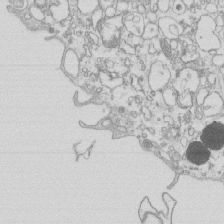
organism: Mouse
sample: Macrophages